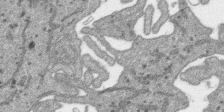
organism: Human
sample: Lung epithelial cells infected with SARS-CoV-2